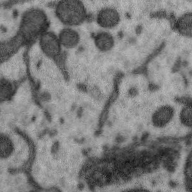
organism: Zebra finch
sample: Brain